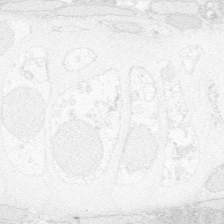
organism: Zebrafish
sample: Whole-Brain